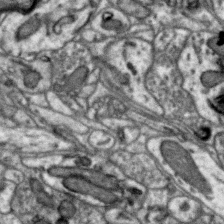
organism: Zebra finch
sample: Brain